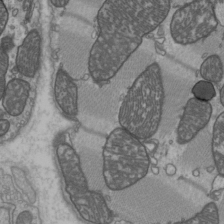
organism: C57BL Mouse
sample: Heart